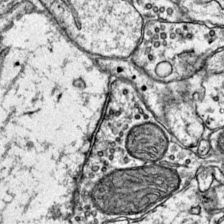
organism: Mouse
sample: Primary visual cortex